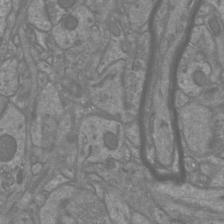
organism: Mouse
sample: Cortical neurons